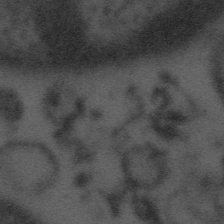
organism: Tuwongella immobilis